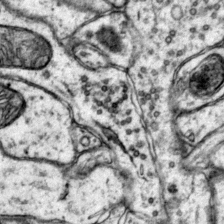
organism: Mouse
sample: Primary visual cortex